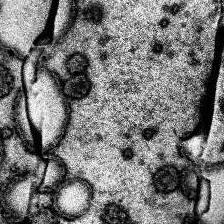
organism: Human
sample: Temporal Lobe